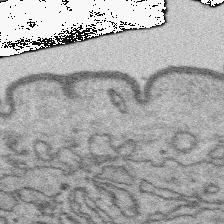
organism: Platynereis dumerilii